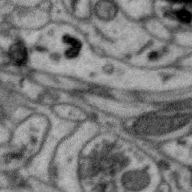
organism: Zebra finch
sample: Brain